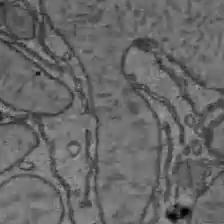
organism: C57BL Mouse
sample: Liver